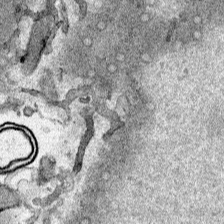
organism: Human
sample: Mitochondria in HCT116 cells